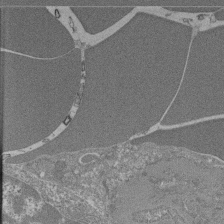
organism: Mouse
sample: Glomerulus